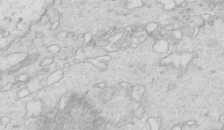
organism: Mouse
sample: Multiciliated cells